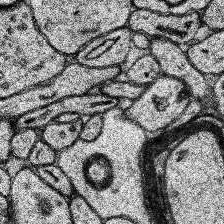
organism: Human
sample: Temporal Lobe